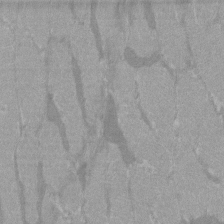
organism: C57BL Mouse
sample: Tibialis anterior muscle cell